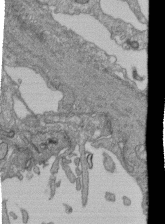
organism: Human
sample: Retinal organoid Rod and Cone cells